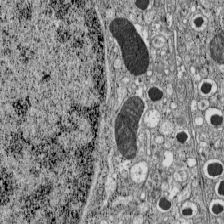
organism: C57BL Mouse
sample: Pancreatic islet